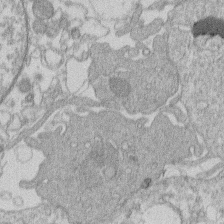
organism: Human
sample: Macrophage cells